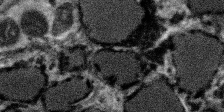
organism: Human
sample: Lung epithelial cells infected with SARS-CoV-2